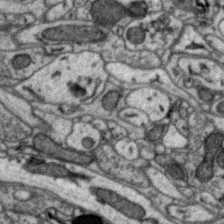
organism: Zebra finch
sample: Brain